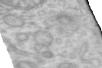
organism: Human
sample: Centriole in RPE cells